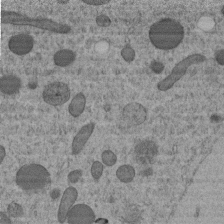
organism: C. elegans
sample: C. elegans embryo early stage